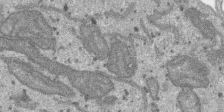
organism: Human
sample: Lung epithelial cells infected with SARS-CoV-2